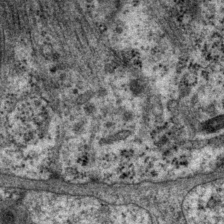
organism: P. pacificus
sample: Pharynx